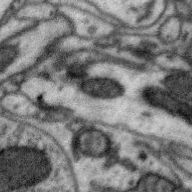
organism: Zebra finch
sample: Brain